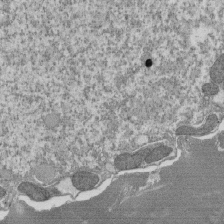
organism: Tetrahymena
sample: Cilia in tetrahymena